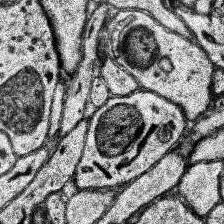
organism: Human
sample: Temporal Lobe